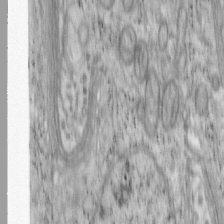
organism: Human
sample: HeLa cells